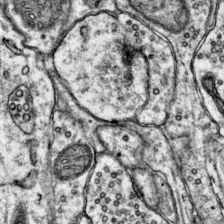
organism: Mouse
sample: Primary visual cortex